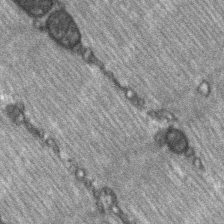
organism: C57BL Mouse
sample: Soleus